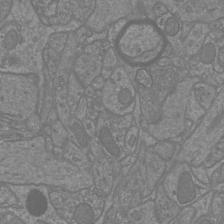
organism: Mouse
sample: Cortical neurons